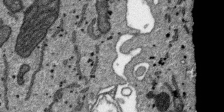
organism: Human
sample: Lung epithelial cells, uninfected (mock) control